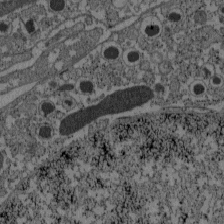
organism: C57BL Mouse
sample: Pancreatic islet